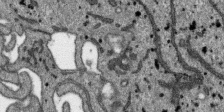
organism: Human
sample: Lung epithelial cells, uninfected (mock) control